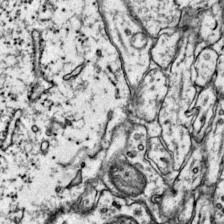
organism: Mouse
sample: Primary visual cortex